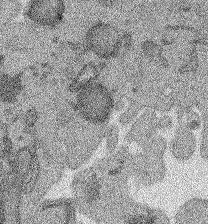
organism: Human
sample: HeLa cells